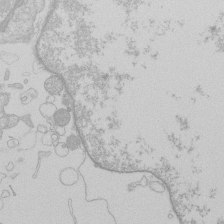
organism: Human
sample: Macrophage cells